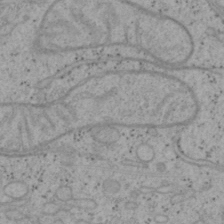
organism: Human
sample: HeLa cells